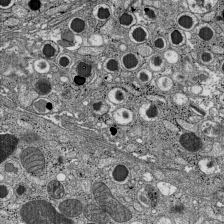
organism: C57BL Mouse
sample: Pancreatic islet